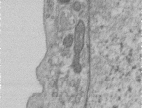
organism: Human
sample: Centriole in RPE cells